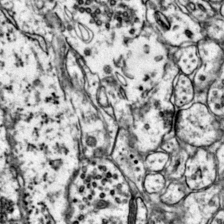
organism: Mouse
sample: Primary visual cortex